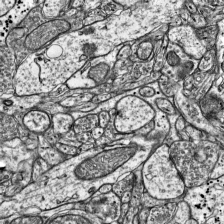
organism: Mouse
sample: Visual Cortex